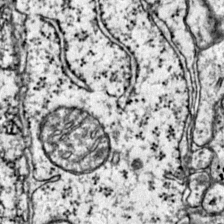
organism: Mouse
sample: Primary visual cortex